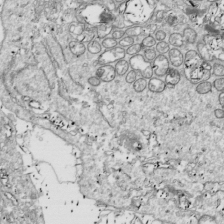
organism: Drosophila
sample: Cell division; meiosis; drosophila spermatocytes